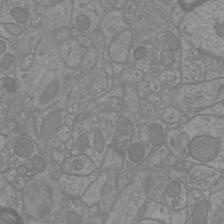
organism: Mouse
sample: Cortical neurons